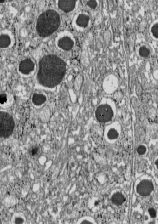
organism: C57BL Mouse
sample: Pancreatic islet